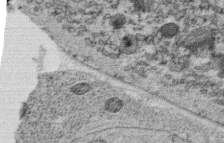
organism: C. elegans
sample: C. elegans oocyte; sperm cells